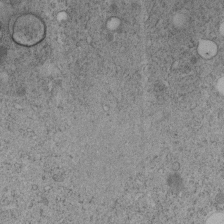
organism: C. elegans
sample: C. elegans embryo early stage